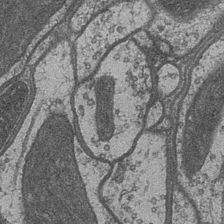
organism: Drosophila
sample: Optic medulla